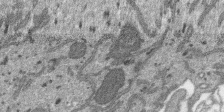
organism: Human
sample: Lung epithelial cells infected with SARS-CoV-2